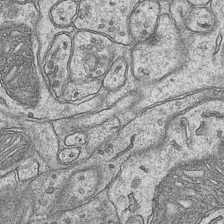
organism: Mouse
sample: CA1 Hippocampus